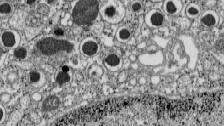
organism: C57BL Mouse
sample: Pancreatic islet